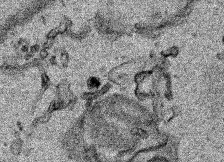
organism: Human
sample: Mitochondria in HCT116 cells